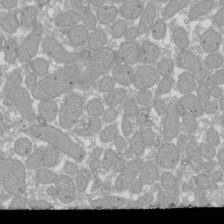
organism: Xenopus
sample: Cilia; centrioles in frog embryo cells